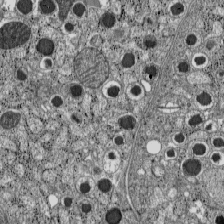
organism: C57BL Mouse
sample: Pancreatic islet